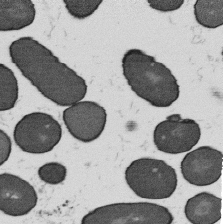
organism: B. subtilis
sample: Bacterial spore